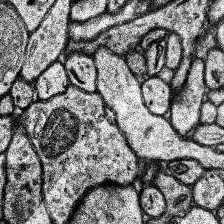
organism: Human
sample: Temporal Lobe